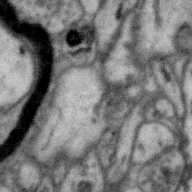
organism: Zebra finch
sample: Brain